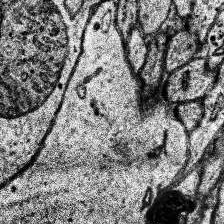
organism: Human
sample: Temporal Lobe